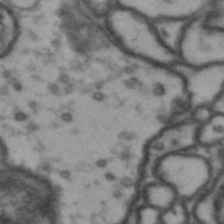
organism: Drosophila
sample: Brain